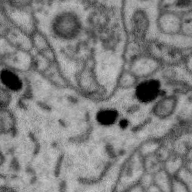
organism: Zebra finch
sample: Brain